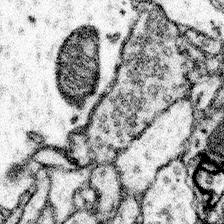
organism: Mouse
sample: Somatosensory cortex neuropil